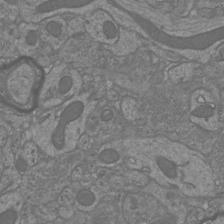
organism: Mouse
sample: Cortical neurons